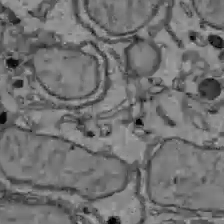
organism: C57BL Mouse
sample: Liver